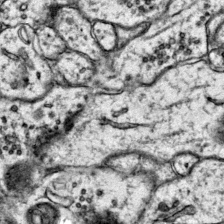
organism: Mouse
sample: Primary visual cortex